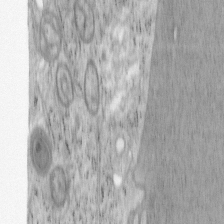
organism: Human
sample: HeLa cells